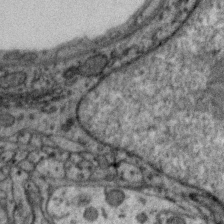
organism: Zebra finch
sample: Brain